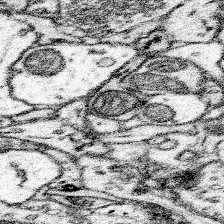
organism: Mouse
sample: Somatosensory cortex neuropil